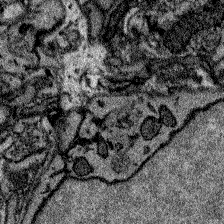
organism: Zebrafish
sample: Larval olfactory bulb